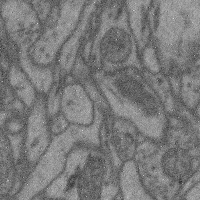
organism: Mouse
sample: Cerebral cortex